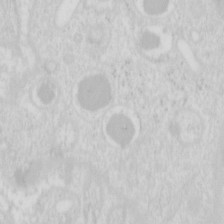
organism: Mouse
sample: Pancreas